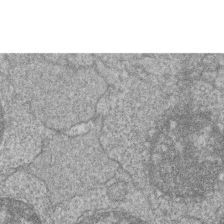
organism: Zebrafish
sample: Cilia; retinal pigment epithelium